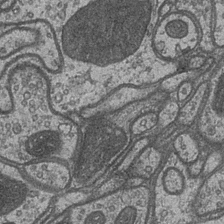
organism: Drosophila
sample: Optic medulla